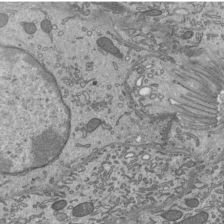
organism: Mouse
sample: Mouse epididymis efferent ductule cilia